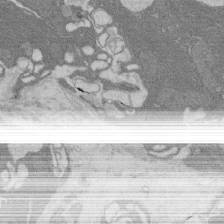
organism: Rat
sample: Salivary granule